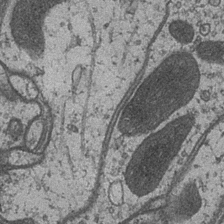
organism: Drosophila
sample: Optic medulla